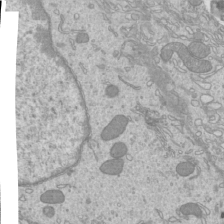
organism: Mouse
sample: Cilia; mouse epididymis